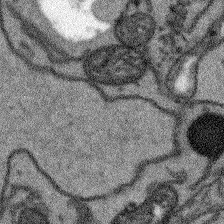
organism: Arabidopsis thaliana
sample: Root tip